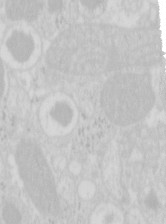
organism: Mouse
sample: Pancreas